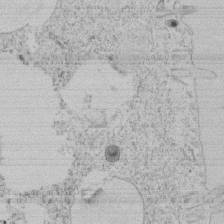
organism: Tetrahymena